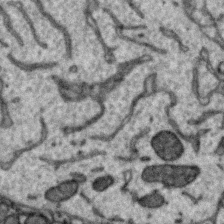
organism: Zebra finch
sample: Brain